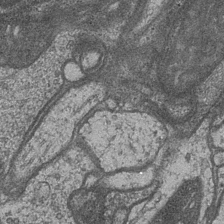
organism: Drosophila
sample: Optic medulla